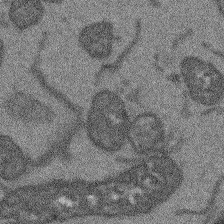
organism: Arabidopsis thaliana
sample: Root tip